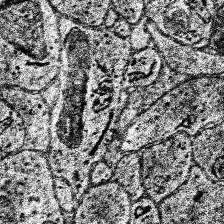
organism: Human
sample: Temporal Lobe